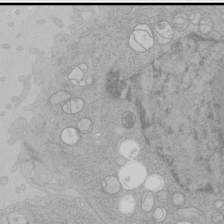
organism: Human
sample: Mitochondria in HCT116 cells